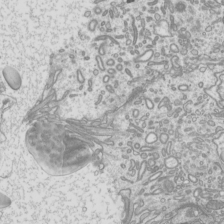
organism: Mouse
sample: Cilia; mouse epididymis